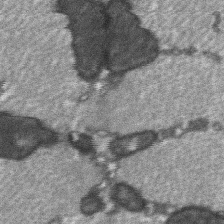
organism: C57BL Mouse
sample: Soleus